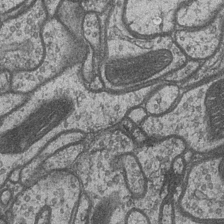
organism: Drosophila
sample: Optic medulla